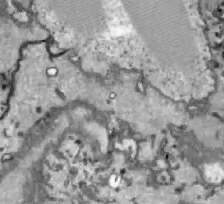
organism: Zebrafish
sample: Actinotrichia fibers